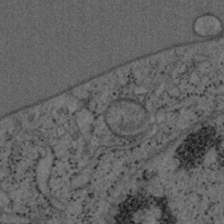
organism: Human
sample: HeLa cells